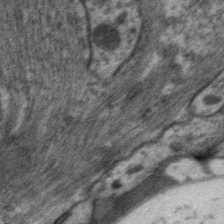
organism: C. elegans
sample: Pharynx